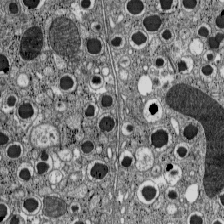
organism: C57BL Mouse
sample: Pancreatic islet